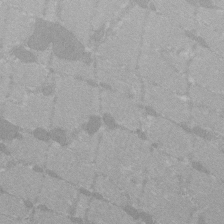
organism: C57BL Mouse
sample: Tibialis anterior muscle cell